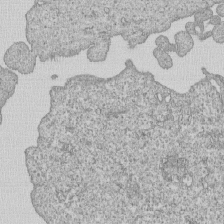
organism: Human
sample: MDA-MB-231 cells